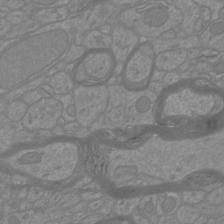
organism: Mouse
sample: Cortical neurons